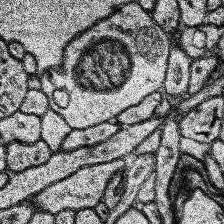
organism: Human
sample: Temporal Lobe